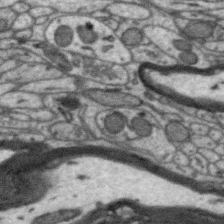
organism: Zebra finch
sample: Brain